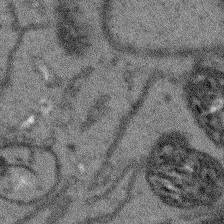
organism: Arabidopsis thaliana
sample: Root tip